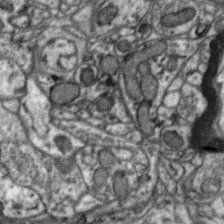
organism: Zebra finch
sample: Brain